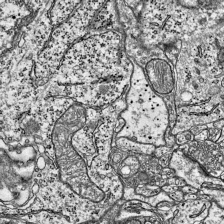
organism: Mouse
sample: Visual Cortex